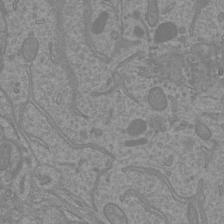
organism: Mouse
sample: Cortical neurons